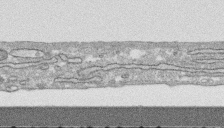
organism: Human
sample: CRL-1474